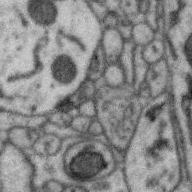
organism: Zebra finch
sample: Brain